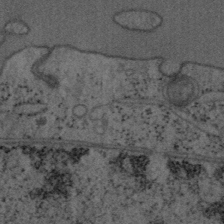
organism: Human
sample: HeLa cells